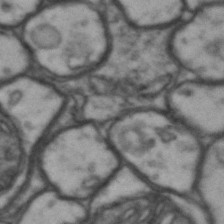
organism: Drosophila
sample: Brain